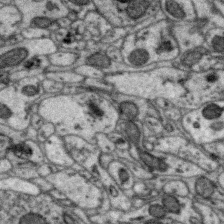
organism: Zebra finch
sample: Brain